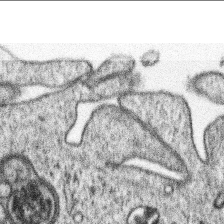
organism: Human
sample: HeLa cells